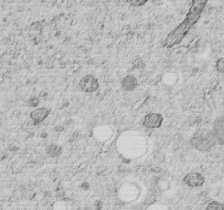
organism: C. elegans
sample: C. elegans embryo early stage